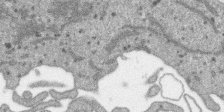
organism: Human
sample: Lung epithelial cells infected with SARS-CoV-2